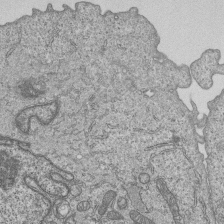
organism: Human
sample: MDA-MB-231 cells